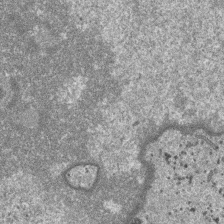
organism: Human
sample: Lung epithelial cells infected with SARS-CoV-2